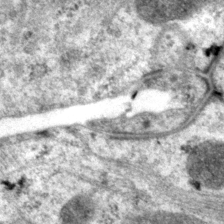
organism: P. pacificus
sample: Pharynx